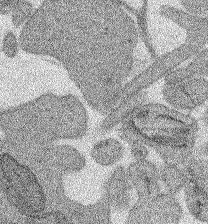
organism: Human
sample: HeLa cells